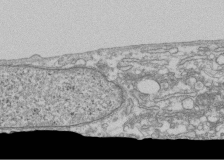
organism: Human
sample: Fibroblast cells